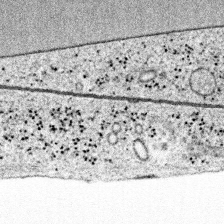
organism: Human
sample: HeLa cells